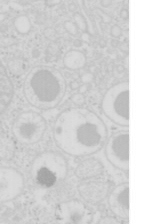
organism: Mouse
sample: Pancreas